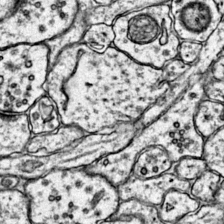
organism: Mouse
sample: Primary visual cortex